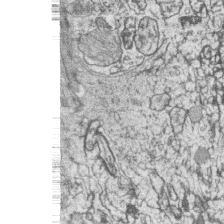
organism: Zebrafish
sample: synaptic ribbons in rod cells and cone cells